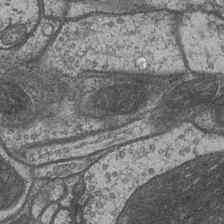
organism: Drosophila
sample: Optic medulla